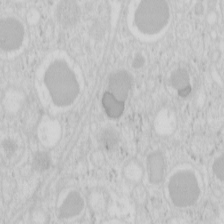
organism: Mouse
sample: Pancreas